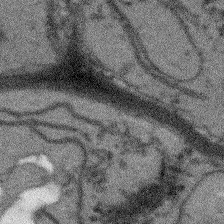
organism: Arabidopsis thaliana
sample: Root tip